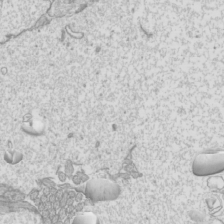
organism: Mouse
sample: Cilia; mouse epididymis